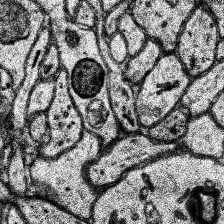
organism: Human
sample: Temporal Lobe